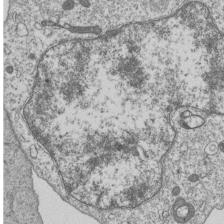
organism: Human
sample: MDA-MB-231 cells